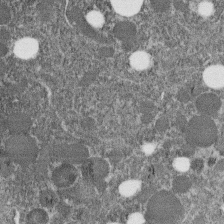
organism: C. elegans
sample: C. elegans embryo early stage